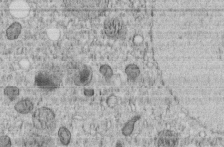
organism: C. elegans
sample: C. elegans embryo early stage